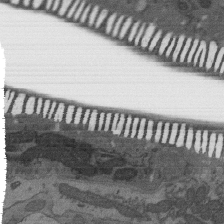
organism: C. elegans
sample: AFD neurons C. elegans